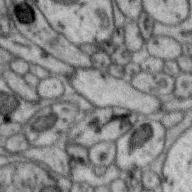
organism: Zebra finch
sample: Brain